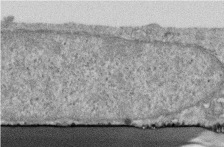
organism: Human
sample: Centriole in RPE cells